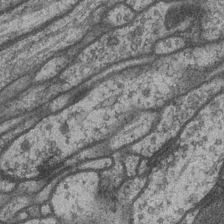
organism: Drosophila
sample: Optic medulla